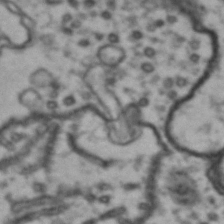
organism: Drosophila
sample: Brain